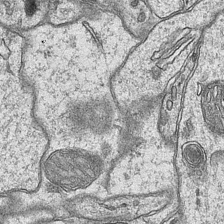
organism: Mouse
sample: CA1 Hippocampus